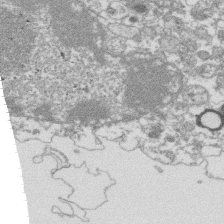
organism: Human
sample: HeLa cell HIV synapse